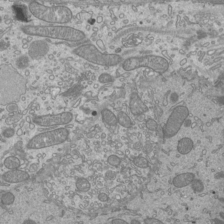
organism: Mouse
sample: Cilia; mouse epididymis